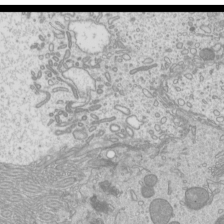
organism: Mouse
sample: Cilia; mouse epididymis